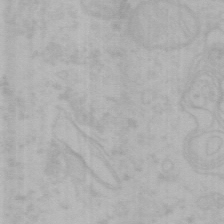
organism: Mouse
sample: Choroid plexus